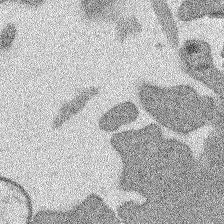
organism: Human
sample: HeLa cells